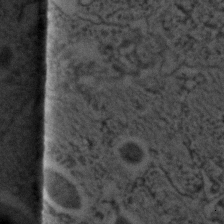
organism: C. elegans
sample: C. elegans embryo